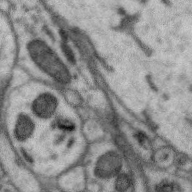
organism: Zebra finch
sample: Brain